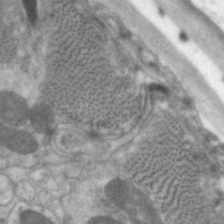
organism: C. elegans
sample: Pharynx